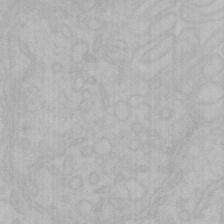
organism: Mouse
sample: Choroid plexus